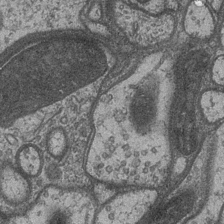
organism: Drosophila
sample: Optic medulla